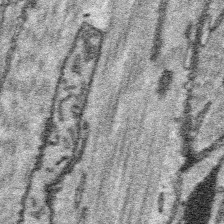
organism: Platynereis dumerilii